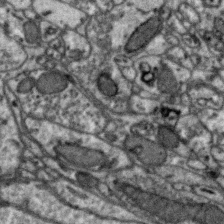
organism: Zebra finch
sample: Brain